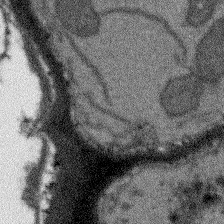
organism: Arabidopsis thaliana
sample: Root tip